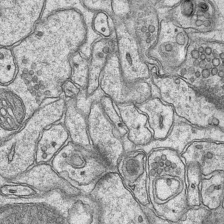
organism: Mouse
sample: CA1 Hippocampus